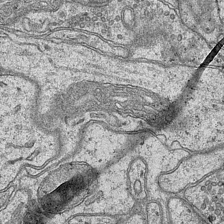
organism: Mouse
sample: CA1 Hippocampus